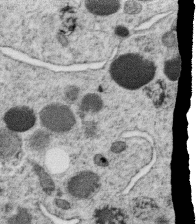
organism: C. elegans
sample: C. elegans oocyte; sperm cells